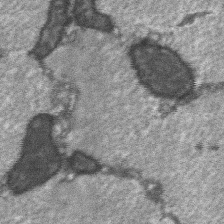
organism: C57BL Mouse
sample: Soleus